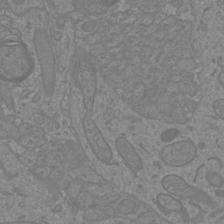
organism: Mouse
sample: Cortical neurons